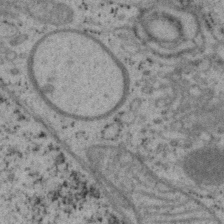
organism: Human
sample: HeLa cells